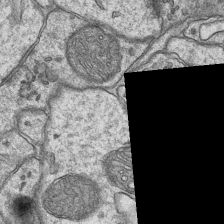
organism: Mouse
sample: CA1 Hippocampus